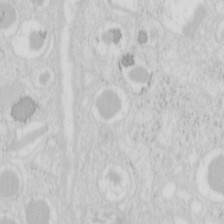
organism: Mouse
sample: Pancreas